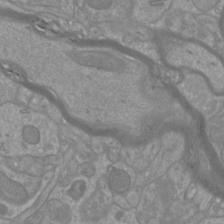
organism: Mouse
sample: Cortical neurons